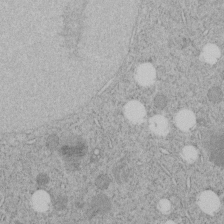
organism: C. elegans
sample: C. elegans embryo early stage